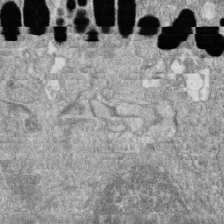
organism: Zebrafish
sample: Cilia; retinal pigment epithelium